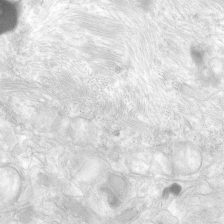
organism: Human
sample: Neocortex